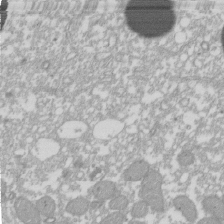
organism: Xenopus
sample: Cilia; centrioles in frog embryo cells